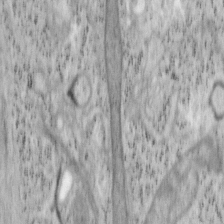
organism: Human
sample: HeLa cells